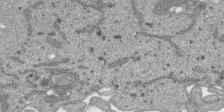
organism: Human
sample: Lung epithelial cells infected with SARS-CoV-2